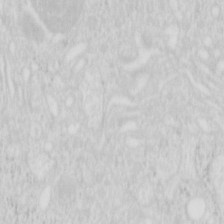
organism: Mouse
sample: Pancreas